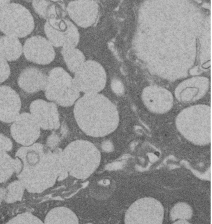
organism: Rat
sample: Salivary granule